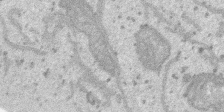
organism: Human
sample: Lung epithelial cells infected with SARS-CoV-2